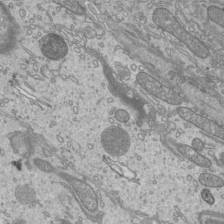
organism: Mouse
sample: Cilia; mouse epididymis